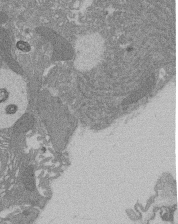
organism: Rat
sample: Salivary granule